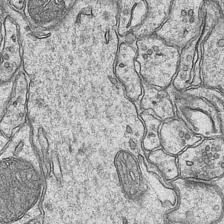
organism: Mouse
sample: CA1 Hippocampus